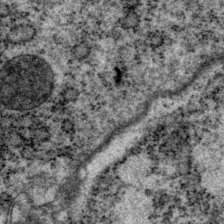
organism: P. pacificus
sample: Pharynx